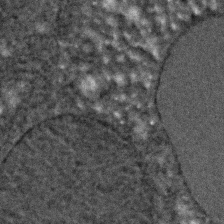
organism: C. elegans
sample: C. elegans embryo